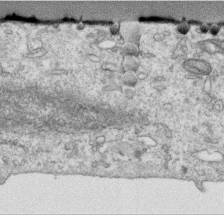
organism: Human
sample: Centriole in RPE cells